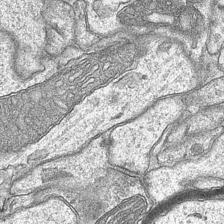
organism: Mouse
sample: CA1 Hippocampus